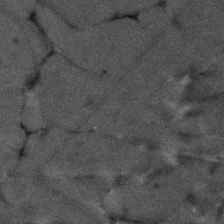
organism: Human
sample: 1205lu cells